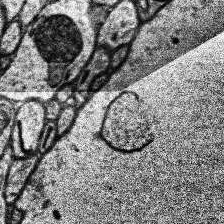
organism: Human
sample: Temporal Lobe